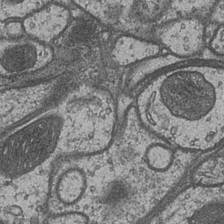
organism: Drosophila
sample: Optic medulla